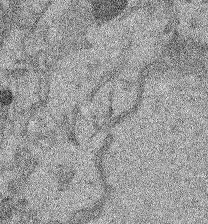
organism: Human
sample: HeLa cells